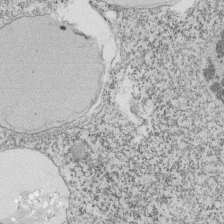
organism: Tetrahymena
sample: Cilia in tetrahymena